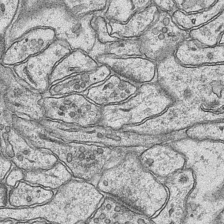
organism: Mouse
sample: CA1 Hippocampus